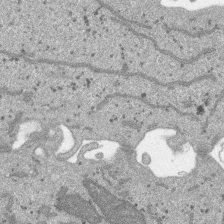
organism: Human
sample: Lung epithelial cells infected with SARS-CoV-2